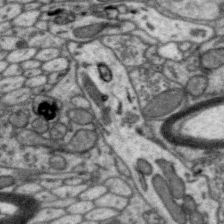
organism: Zebra finch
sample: Brain